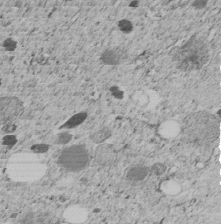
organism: C. elegans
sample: C. elegans embryo early stage